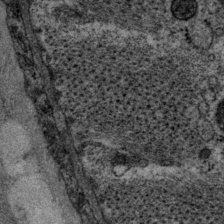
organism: P. pacificus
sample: Pharynx